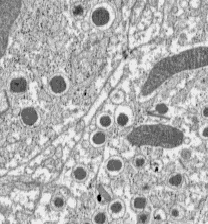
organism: C57BL Mouse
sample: Pancreatic islet